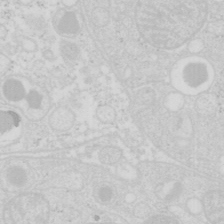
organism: Mouse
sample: Pancreas